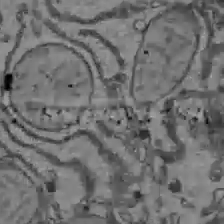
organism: C57BL Mouse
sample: Liver